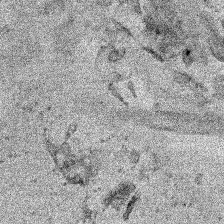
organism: Human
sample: Mitochondria in HCT116 cells